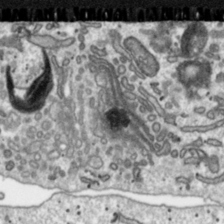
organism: Toxoplasma gondii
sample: Parasites in a vacuole inside a host cell